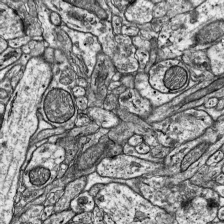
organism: Mouse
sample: Visual Cortex